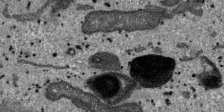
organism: Human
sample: Lung epithelial cells, uninfected (mock) control